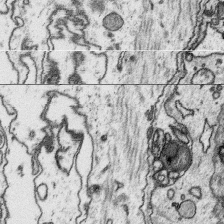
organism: Platynereis dumerilii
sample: Parapodia